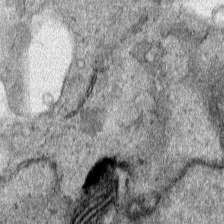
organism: Human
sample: Mitochondria in HCT116 cells